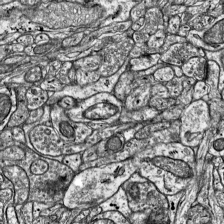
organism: Mouse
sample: Visual Cortex